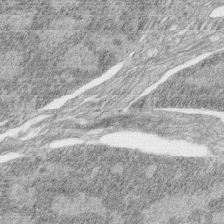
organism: Zebrafish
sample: synaptic ribbons in rod cells and cone cells